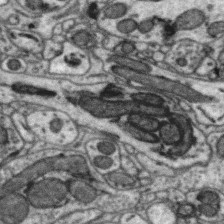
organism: Zebra finch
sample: Brain